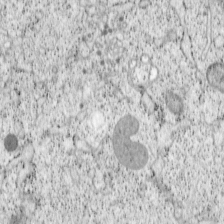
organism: African green monkey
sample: COS-7 cells